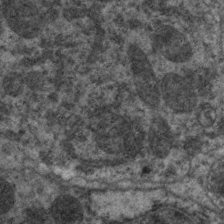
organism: C. elegans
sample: Pharynx